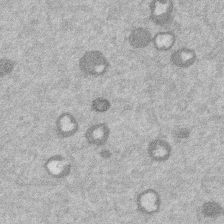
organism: Mouse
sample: Dividing mouse embryo 1 cell stage